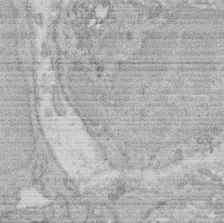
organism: Rat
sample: Salivary granule